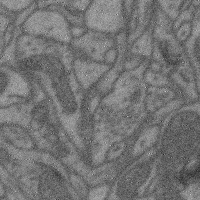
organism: Mouse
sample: Cerebral cortex